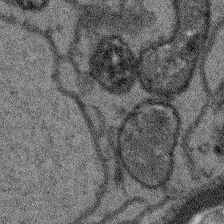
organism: Arabidopsis thaliana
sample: Root tip